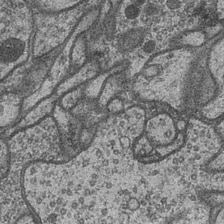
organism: Drosophila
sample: Optic medulla